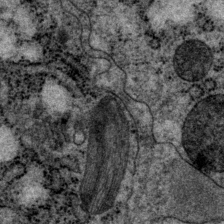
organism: P. pacificus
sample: Pharynx